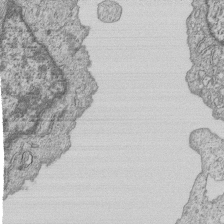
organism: Human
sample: MDA-MB-231 cells